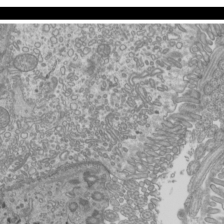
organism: Mouse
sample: Cilia; mouse epididymis